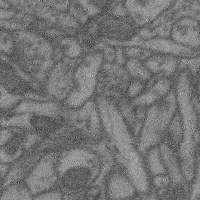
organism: Mouse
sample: Cerebral cortex